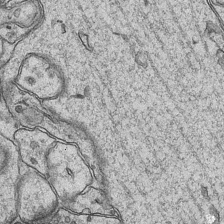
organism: Mouse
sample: CA1 Hippocampus